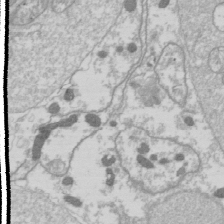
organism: Drosophila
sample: Cell division; meiosis; drosophila spermatocytes